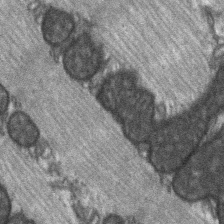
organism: C57BL Mouse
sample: Soleus